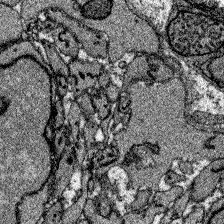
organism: Zebrafish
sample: Larval olfactory bulb